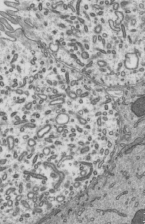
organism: Mouse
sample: Mouse epididymis efferent ductule cilia